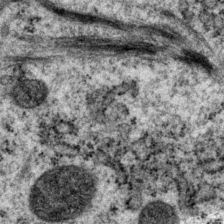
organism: P. pacificus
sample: Pharynx